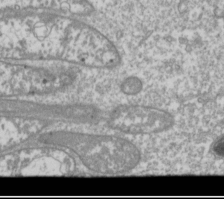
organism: Drosophila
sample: Cell division; meiosis; drosophila spermatocytes